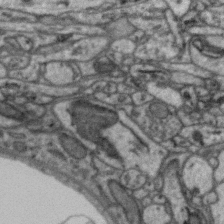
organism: Zebra finch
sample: Brain